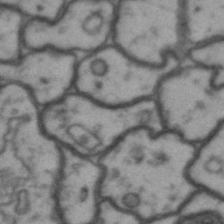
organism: Drosophila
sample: Brain